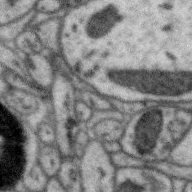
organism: Zebra finch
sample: Brain